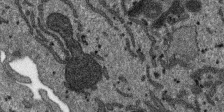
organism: Human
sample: Lung epithelial cells infected with SARS-CoV-2